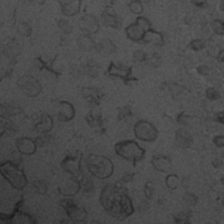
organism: C. elegans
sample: C. elegans embryo